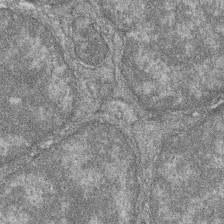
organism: Zebrafish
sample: Cilia; retinal pigment epithelium